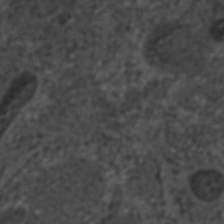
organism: C. elegans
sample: C. elegans embryo